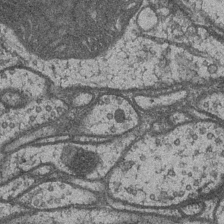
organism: Drosophila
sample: Optic medulla